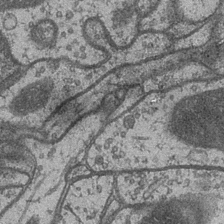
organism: Drosophila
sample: Optic medulla